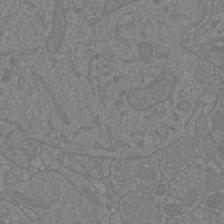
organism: Mouse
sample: Cortical neurons